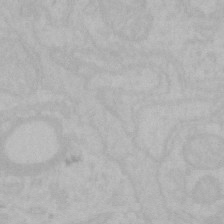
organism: Mouse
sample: Choroid plexus